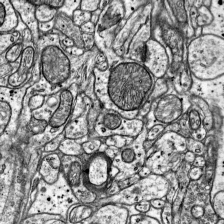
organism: Mouse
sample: Visual Cortex